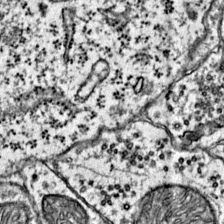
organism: Mouse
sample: Primary visual cortex